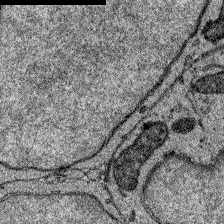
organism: Zebrafish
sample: Larval olfactory bulb